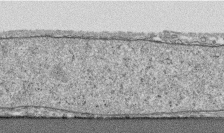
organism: Human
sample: CRL-1474